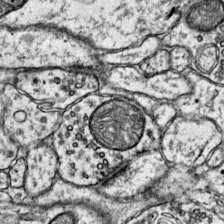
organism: Mouse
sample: Primary visual cortex